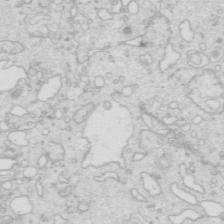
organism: Mouse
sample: Multiciliated cells